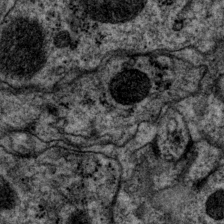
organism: P. pacificus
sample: Pharynx